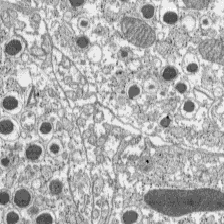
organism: C57BL Mouse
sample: Pancreatic islet